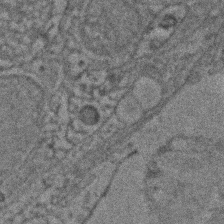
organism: Zebrafish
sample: Zebrafish embryo